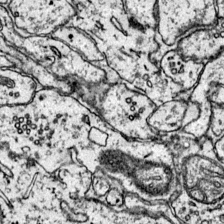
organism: Mouse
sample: Primary visual cortex